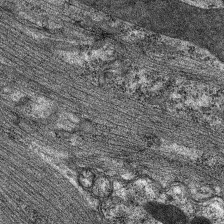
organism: C. elegans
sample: Pharynx